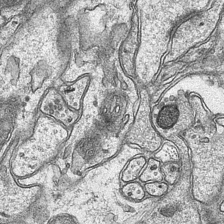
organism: Mouse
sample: CA1 Hippocampus